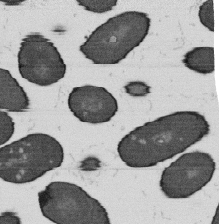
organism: B. subtilis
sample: Bacterial spore